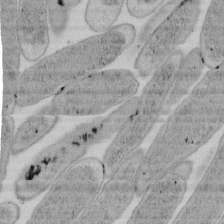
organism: E. coli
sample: Bacterial nucleoid